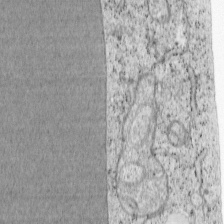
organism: African green monkey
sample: COS-7 cells